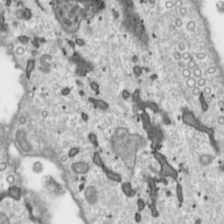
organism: Toxoplasma gondii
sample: Parasites in a vacuole inside a host cell